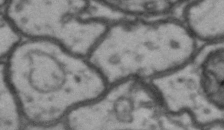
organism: Drosophila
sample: Brain